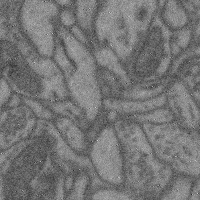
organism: Mouse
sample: Cerebral cortex